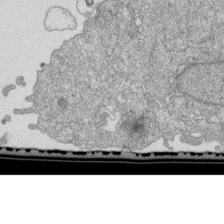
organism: Human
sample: HeLa cell HIV synapse